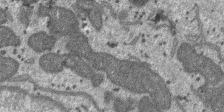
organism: Human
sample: Lung epithelial cells infected with SARS-CoV-2